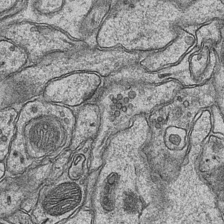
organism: Mouse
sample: CA1 Hippocampus